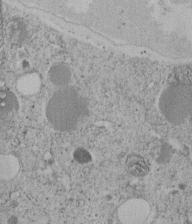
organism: C. elegans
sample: C. elegans embryo early stage